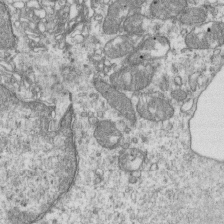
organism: Mouse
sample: Activated OT-1 CD8+ T cells